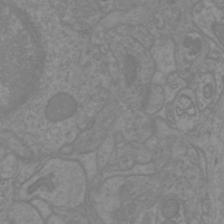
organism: Mouse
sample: Cortical neurons